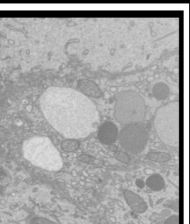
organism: Mouse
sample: Cilia; mouse epididymis